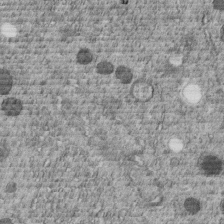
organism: C. elegans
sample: C. elegans embryo early stage